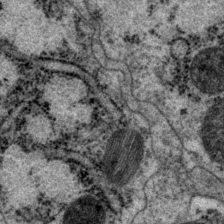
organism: P. pacificus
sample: Pharynx